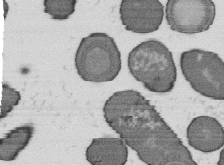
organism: B. subtilis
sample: Bacterial spore